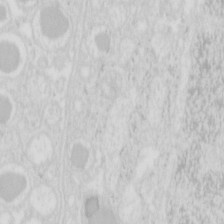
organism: Mouse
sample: Pancreas